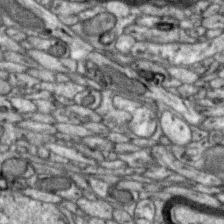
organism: Zebra finch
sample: Brain